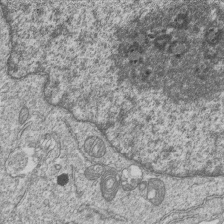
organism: Human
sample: MDA-MB-231 cells